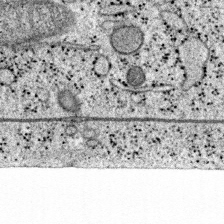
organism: Human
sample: HeLa cells